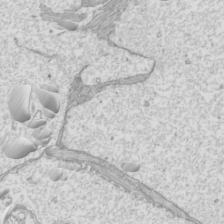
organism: Mouse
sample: Cilia; mouse epididymis